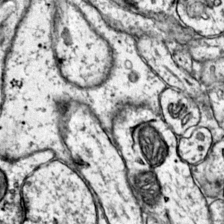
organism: Mouse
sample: Primary visual cortex